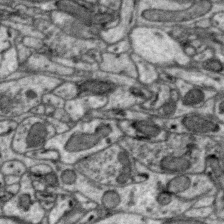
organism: Zebra finch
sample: Brain